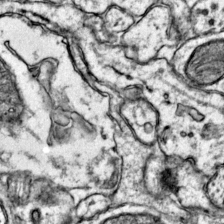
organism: Mouse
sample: Primary visual cortex